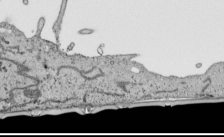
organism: Human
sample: Mitochondria in HCT116 cells